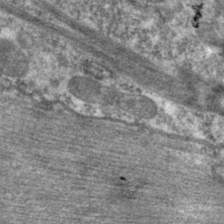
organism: C. elegans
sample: Pharynx